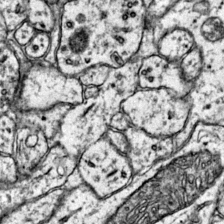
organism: Mouse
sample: Primary visual cortex